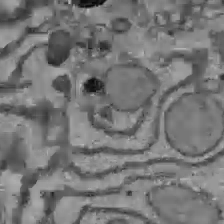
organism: C57BL Mouse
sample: Liver